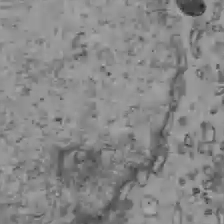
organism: C57BL Mouse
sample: Liver